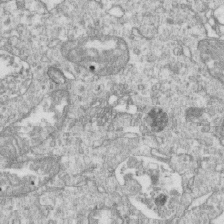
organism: Mouse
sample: Activated OT-1 CD8+ T cells